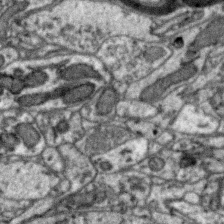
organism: Zebra finch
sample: Brain